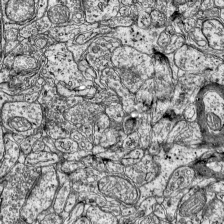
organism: Mouse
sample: Visual Cortex